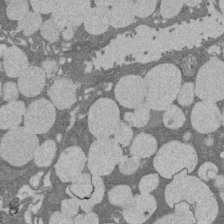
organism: Rat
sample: Salivary granule